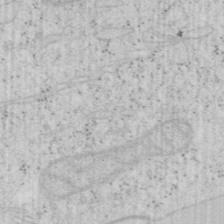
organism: Human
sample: HeLa cells